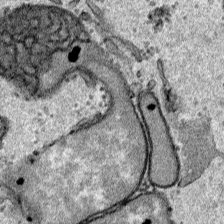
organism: Human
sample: Mitochondria in HCT116 cells